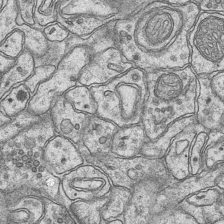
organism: Mouse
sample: CA1 Hippocampus